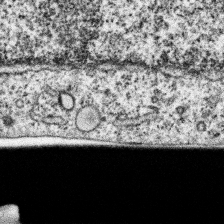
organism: Human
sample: HeLa cells